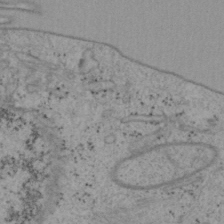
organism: Human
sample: HeLa cells